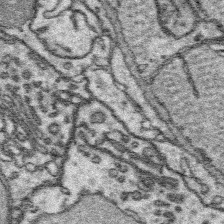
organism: Platynereis dumerilii